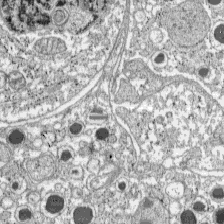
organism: C57BL Mouse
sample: Pancreatic islet